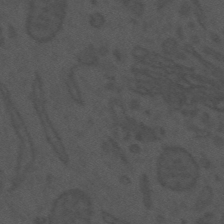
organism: Mouse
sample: Suprachiasmatic nucleus